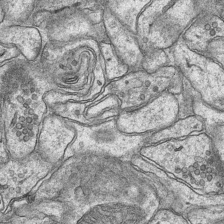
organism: Mouse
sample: CA1 Hippocampus